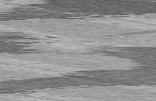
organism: C57BL Mouse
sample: Heart